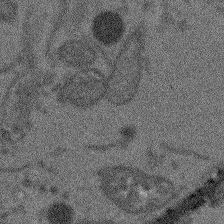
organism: Arabidopsis thaliana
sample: Root tip